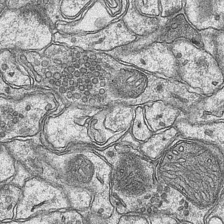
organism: Mouse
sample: CA1 Hippocampus